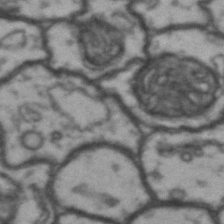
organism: Drosophila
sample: Brain